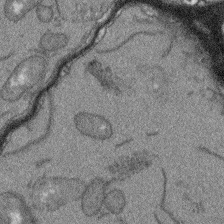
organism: Arabidopsis thaliana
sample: Root tip